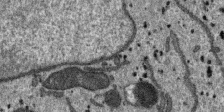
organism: Human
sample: Lung epithelial cells, uninfected (mock) control